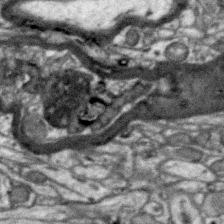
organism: Zebra finch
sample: Brain